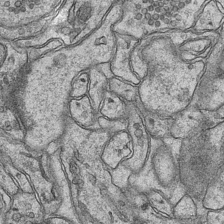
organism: Mouse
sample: CA1 Hippocampus